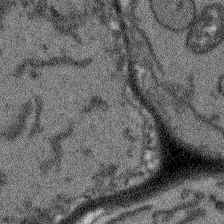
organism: Arabidopsis thaliana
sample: Root tip